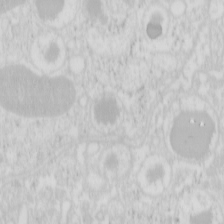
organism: Mouse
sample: Pancreas